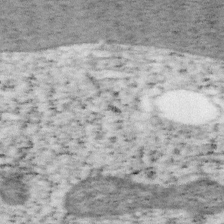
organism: Mouse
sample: OT-I killer T cells with ID8 ovarian cancer cells